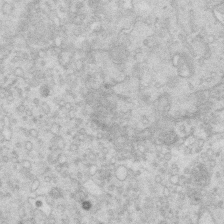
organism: Mouse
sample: Multiciliated cells